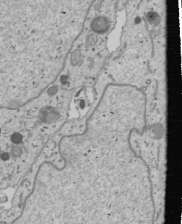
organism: Human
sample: Mitochondria in U2OS cells